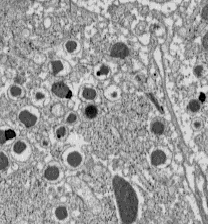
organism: C57BL Mouse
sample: Pancreatic islet